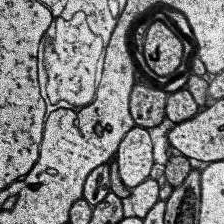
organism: Human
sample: Temporal Lobe